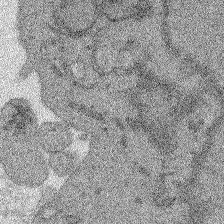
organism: Human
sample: HeLa cells